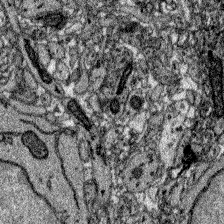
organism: Zebrafish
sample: Larval olfactory bulb